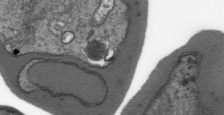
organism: Plasmodium falciparum